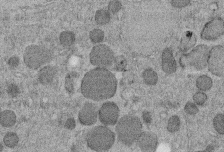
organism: C. elegans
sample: C. elegans embryo early stage